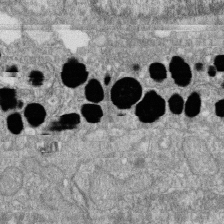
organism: Zebrafish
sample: Cilia; retinal pigment epithelium